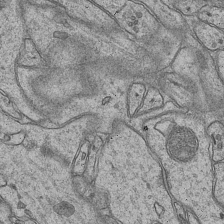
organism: Mouse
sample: CA1 Hippocampus